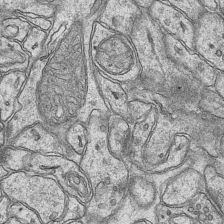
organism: Mouse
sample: CA1 Hippocampus